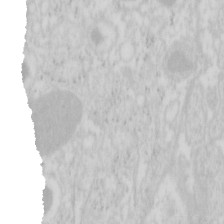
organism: Mouse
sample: Pancreas